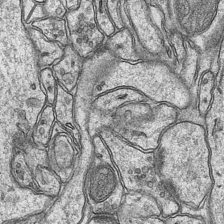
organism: Mouse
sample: CA1 Hippocampus